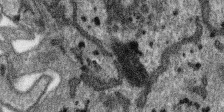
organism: Human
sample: Lung epithelial cells infected with SARS-CoV-2